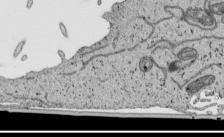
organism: Human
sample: Mitochondria in HCT116 cells